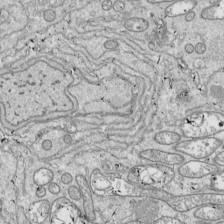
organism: Drosophila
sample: Cell division; meiosis; drosophila spermatocytes